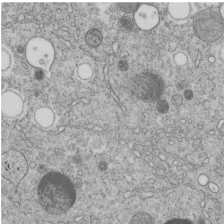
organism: C. elegans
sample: C. elegans embryo early stage